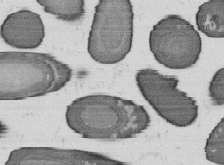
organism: B. subtilis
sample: Bacterial spore